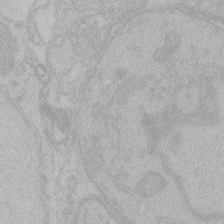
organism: Zebrafish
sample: Macrophage infected with Toxoplasma gondii